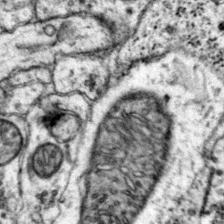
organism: Mouse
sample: Primary visual cortex